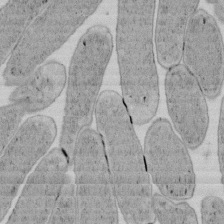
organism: E. coli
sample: Bacterial nucleoid